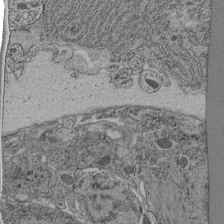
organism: C. elegans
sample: C. elegans pharynx